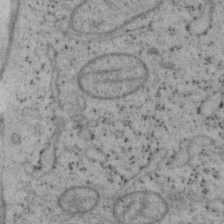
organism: Human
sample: HeLa cells